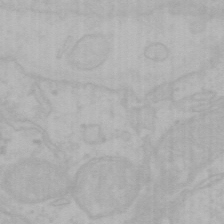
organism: Mouse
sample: Choroid plexus